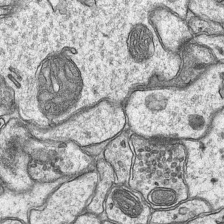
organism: Mouse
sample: CA1 Hippocampus